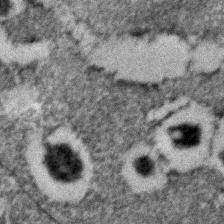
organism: C. elegans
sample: C. elegans embryo